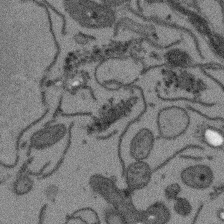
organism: Arabidopsis thaliana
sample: Root tip